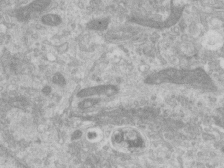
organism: Human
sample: Centriole in RPE cells